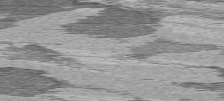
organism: C57BL Mouse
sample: Heart